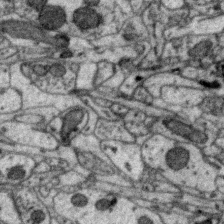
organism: Zebra finch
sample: Brain